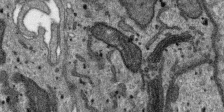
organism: Human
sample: Lung epithelial cells, uninfected (mock) control